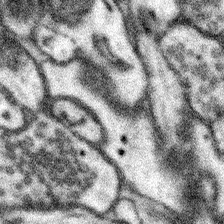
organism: Mouse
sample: Somatosensory cortex neuropil